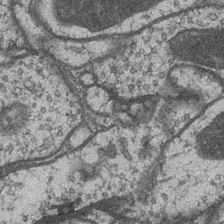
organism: Drosophila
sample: Optic medulla